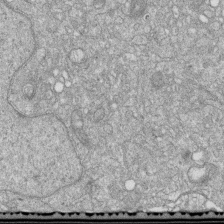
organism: Human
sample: HeLa cell HIV synapse